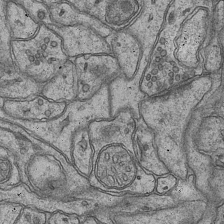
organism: Mouse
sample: CA1 Hippocampus